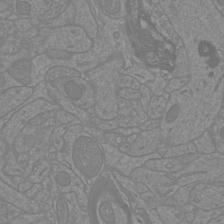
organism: Mouse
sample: Cortical neurons